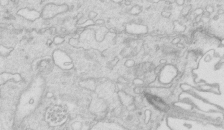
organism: Mouse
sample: Multiciliated cells